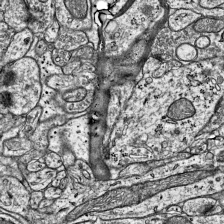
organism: Mouse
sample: Visual Cortex